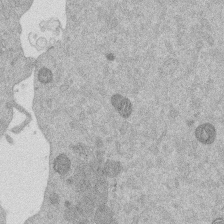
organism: Mouse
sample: Dividing mouse embryo 1 cell stage